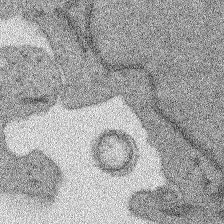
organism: Human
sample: HeLa cells